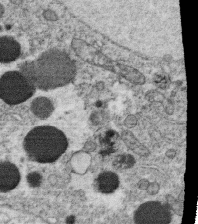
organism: C. elegans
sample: C. elegans oocyte; sperm cells